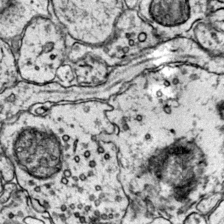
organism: Mouse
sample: Primary visual cortex